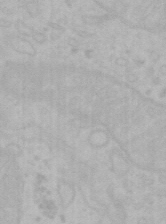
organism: Mouse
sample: Choroid plexus